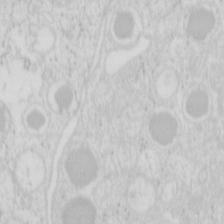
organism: Mouse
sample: Pancreas